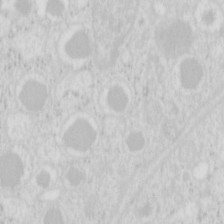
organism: Mouse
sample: Pancreas